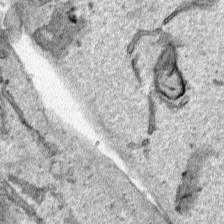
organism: Human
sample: Mitochondria in HCT116 cells